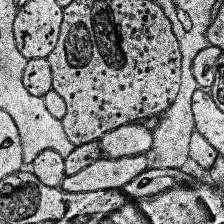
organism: Human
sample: Temporal Lobe